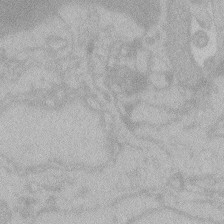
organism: Zebrafish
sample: Macrophage infected with Toxoplasma gondii